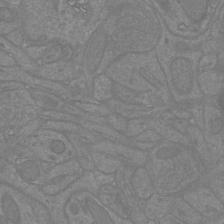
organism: Mouse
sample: Cortical neurons